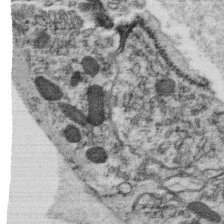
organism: C. elegans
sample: C. elegans oocyte; sperm cells